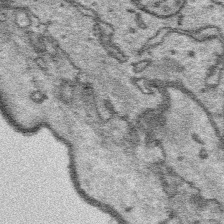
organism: Platynereis dumerilii